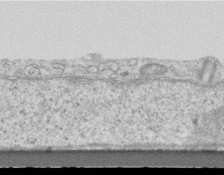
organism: Mouse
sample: Centriole in ependymal cells